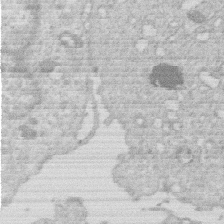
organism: Human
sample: Macrophage cells